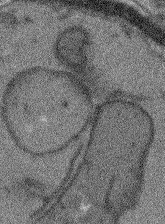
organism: Arabidopsis thaliana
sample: Root tip